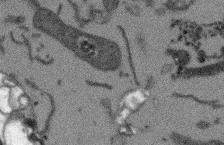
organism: Arabidopsis thaliana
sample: Root tip